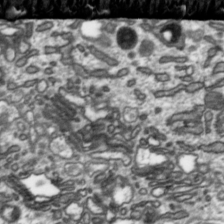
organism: Toxoplasma gondii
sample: Parasites in a vacuole inside a host cell